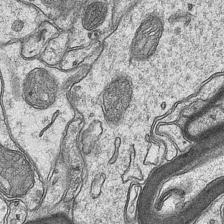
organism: Mouse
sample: CA1 Hippocampus